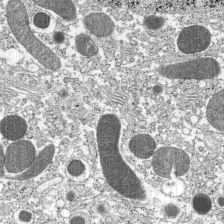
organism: C57BL Mouse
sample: Pancreatic islet